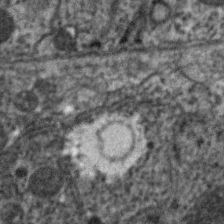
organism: C. elegans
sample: Pharynx